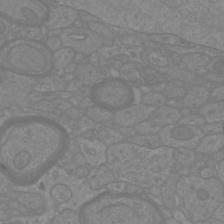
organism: Mouse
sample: Cortical neurons